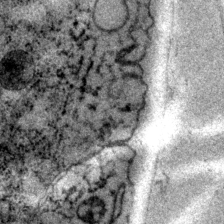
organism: P. pacificus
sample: Pharynx